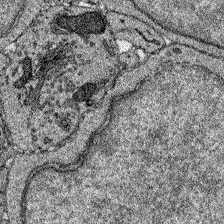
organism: Zebrafish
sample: Larval olfactory bulb